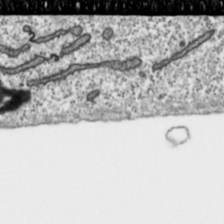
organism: Toxoplasma gondii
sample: Parasites in a vacuole inside a host cell